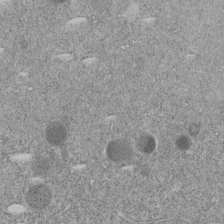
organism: C. elegans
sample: C. elegans embryo early stage